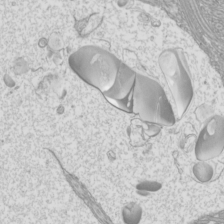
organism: Mouse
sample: Cilia; mouse epididymis